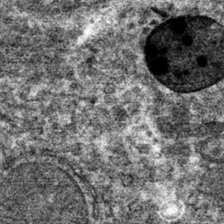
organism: Mouse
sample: Mouse hepatocytes